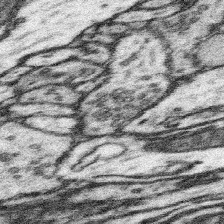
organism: Mouse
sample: Somatosensory cortex neuropil